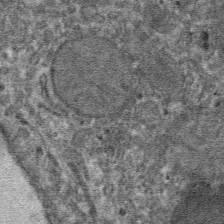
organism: Mouse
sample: Mouse hepatocytes